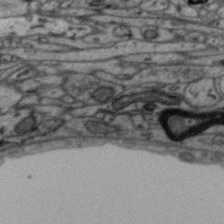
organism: Zebra finch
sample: Brain